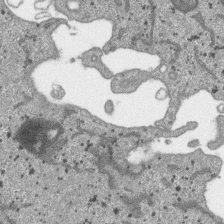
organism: Human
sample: Lung epithelial cells infected with SARS-CoV-2